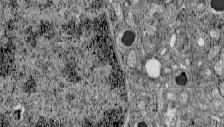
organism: C57BL Mouse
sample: Pancreatic islet